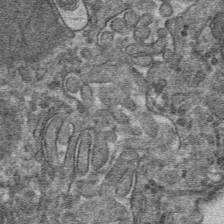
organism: Mouse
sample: Mouse hepatocytes